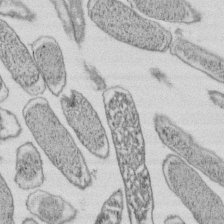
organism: E. coli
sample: Bacterial nucleoid